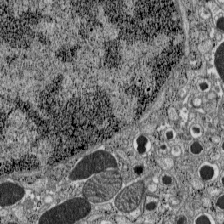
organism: C57BL Mouse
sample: Pancreatic islet